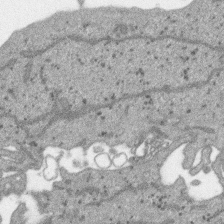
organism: Human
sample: Lung epithelial cells infected with SARS-CoV-2